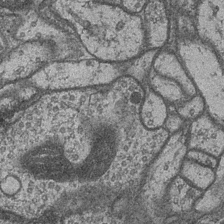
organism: Drosophila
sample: Optic medulla